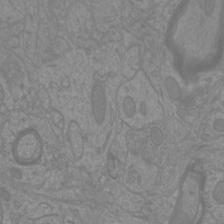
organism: Mouse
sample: Cortical neurons